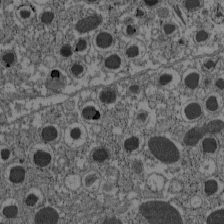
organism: C57BL Mouse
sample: Pancreatic islet